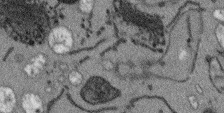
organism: Arabidopsis thaliana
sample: Root tip